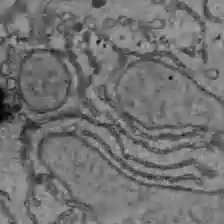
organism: C57BL Mouse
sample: Liver